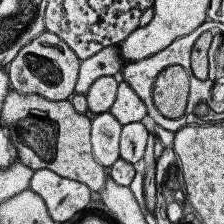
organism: Human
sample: Temporal Lobe